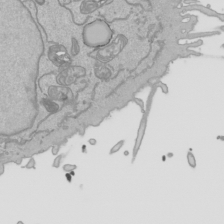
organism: Human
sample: Mitochondria in HCT116 cells